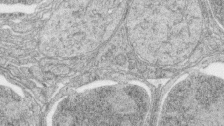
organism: Zebrafish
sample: synaptic ribbons in rod cells and cone cells